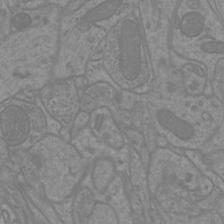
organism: Mouse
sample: Cortical neurons